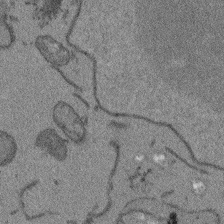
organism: Arabidopsis thaliana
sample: Root tip